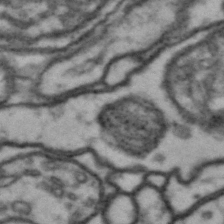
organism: Drosophila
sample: Brain